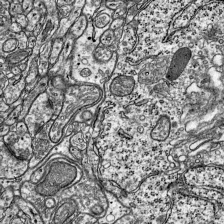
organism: Mouse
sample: Visual Cortex